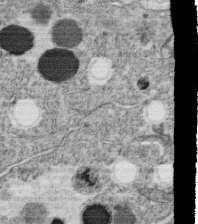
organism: C. elegans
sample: C. elegans oocyte; sperm cells